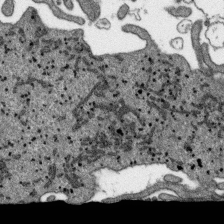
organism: Human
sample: Lung epithelial cells, uninfected (mock) control